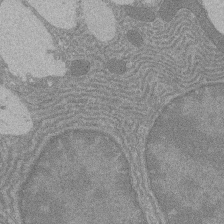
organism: Rat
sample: Salivary granule